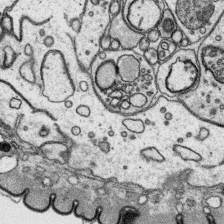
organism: Platynereis dumerilii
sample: Parapodia